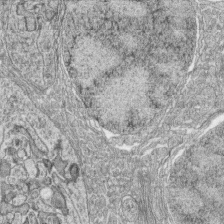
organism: Zebrafish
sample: synaptic ribbons in rod cells and cone cells